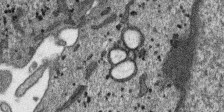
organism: Human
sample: Lung epithelial cells infected with SARS-CoV-2